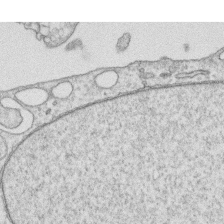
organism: Human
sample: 1205lu cells